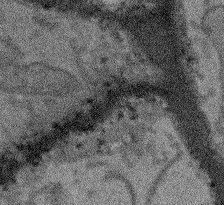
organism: Arabidopsis thaliana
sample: Root tip